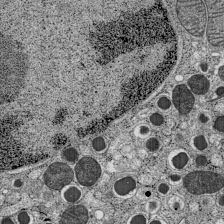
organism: C57BL Mouse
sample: Pancreatic islet